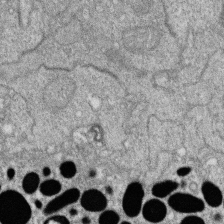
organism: Zebrafish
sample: Cilia; retinal pigment epithelium